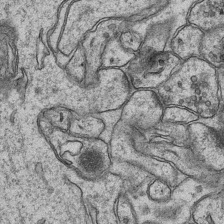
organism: Mouse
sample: CA1 Hippocampus